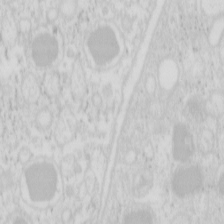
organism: Mouse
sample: Pancreas